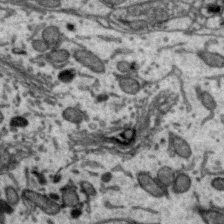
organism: Zebra finch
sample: Brain